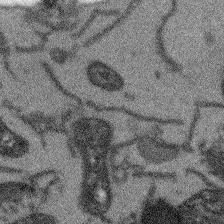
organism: Arabidopsis thaliana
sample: Root tip